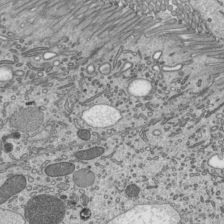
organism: Mouse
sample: Mouse epididymis efferent ductule cilia